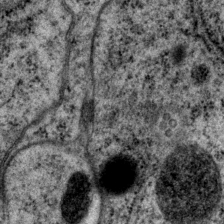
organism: P. pacificus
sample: Pharynx